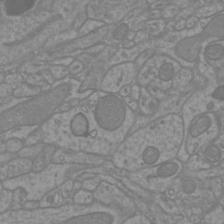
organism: Mouse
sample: Cortical neurons